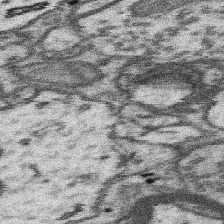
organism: Mouse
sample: Somatosensory cortex neuropil